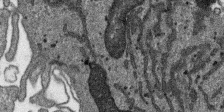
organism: Human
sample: Lung epithelial cells infected with SARS-CoV-2